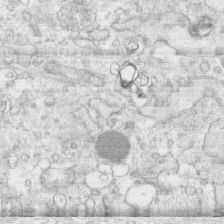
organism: Human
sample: CRL-1474